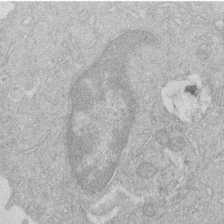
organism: Human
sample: Macrophage cells